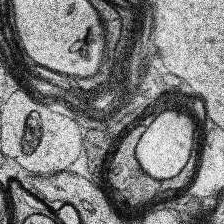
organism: Human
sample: Temporal Lobe